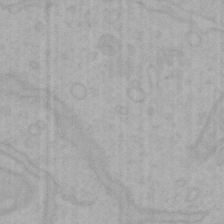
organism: Mouse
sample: Choroid plexus